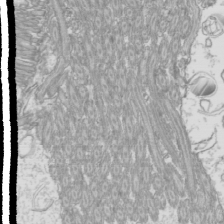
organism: Mouse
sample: Cilia; mouse epididymis